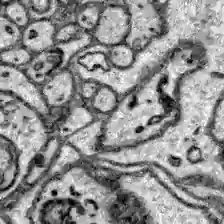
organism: Zebrafish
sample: Brain